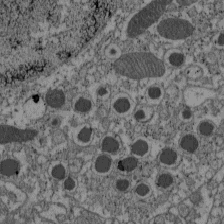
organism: C57BL Mouse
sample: Pancreatic islet